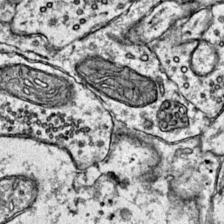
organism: Mouse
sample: Primary visual cortex